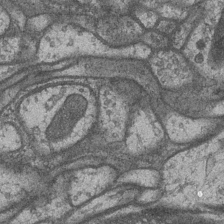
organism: Drosophila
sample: Optic medulla